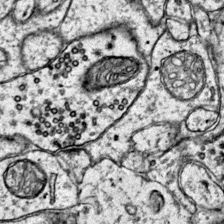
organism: Mouse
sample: Primary visual cortex